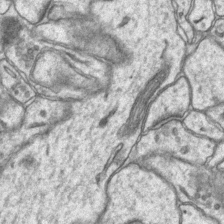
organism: Mouse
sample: CA1 Hippocampus